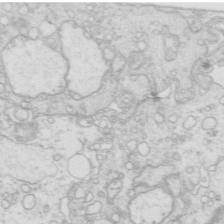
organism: Mouse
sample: Multiciliated cells